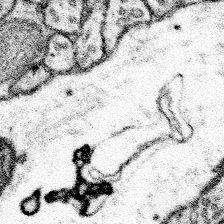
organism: Mouse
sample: Somatosensory cortex neuropil